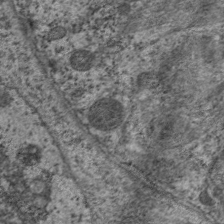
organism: C. elegans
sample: Pharynx